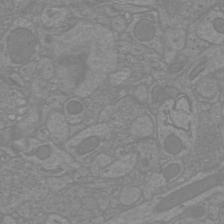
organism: Mouse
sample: Cortical neurons